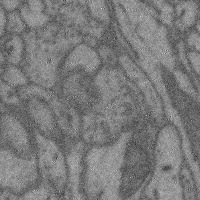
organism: Mouse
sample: Cerebral cortex